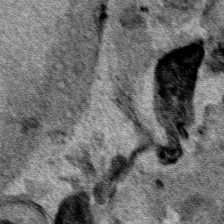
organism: Human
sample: Mitochondria in HCT116 cells